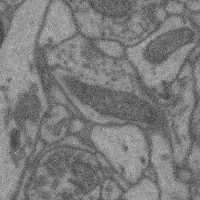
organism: Mouse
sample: Cerebral cortex